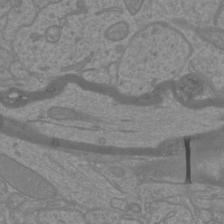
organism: Mouse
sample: Cortical neurons